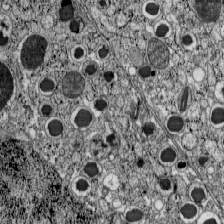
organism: C57BL Mouse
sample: Pancreatic islet